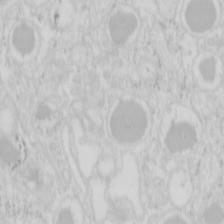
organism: Mouse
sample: Pancreas